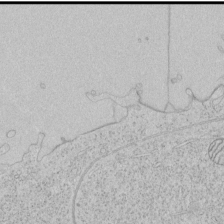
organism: Human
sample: Mitochondria in HCT116 cells